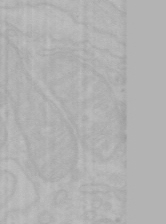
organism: Mouse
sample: Choroid plexus